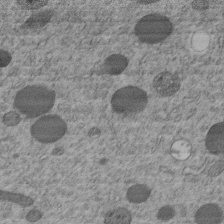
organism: C. elegans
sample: C. elegans embryo early stage